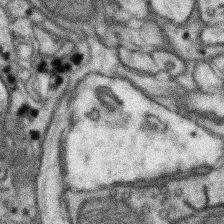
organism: Mouse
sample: Somatosensory cortex neuropil